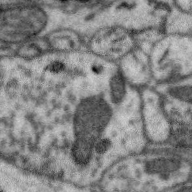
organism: Zebra finch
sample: Brain